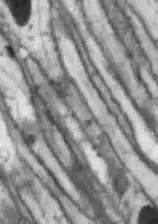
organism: Drosophila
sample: Optic lobe